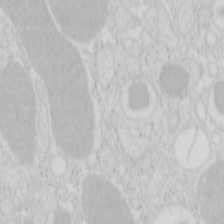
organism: Mouse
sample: Pancreas